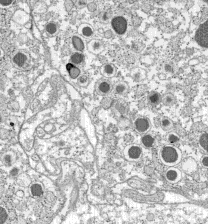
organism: C57BL Mouse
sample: Pancreatic islet